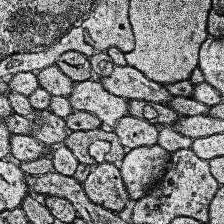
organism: Human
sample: Temporal Lobe